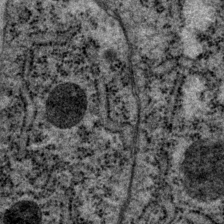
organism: P. pacificus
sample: Pharynx